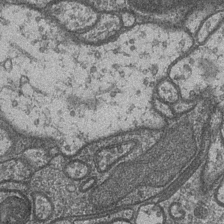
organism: Drosophila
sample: Optic medulla